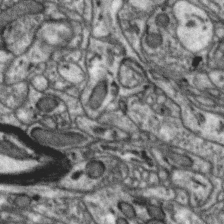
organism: Zebra finch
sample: Brain